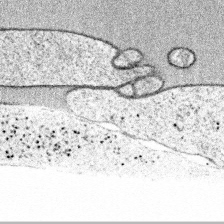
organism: Human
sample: HeLa cells